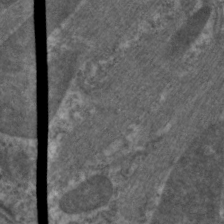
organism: C. elegans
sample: Pharynx